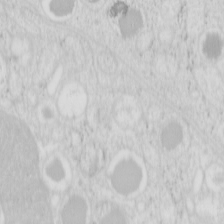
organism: Mouse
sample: Pancreas